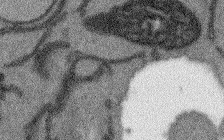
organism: Arabidopsis thaliana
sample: Root tip